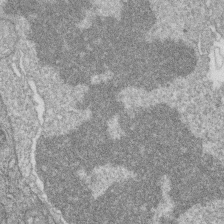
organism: Zebrafish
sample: Cilia; retinal pigment epithelium